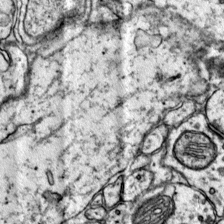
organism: Mouse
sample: Primary visual cortex